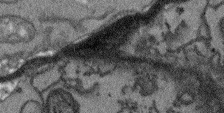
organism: Arabidopsis thaliana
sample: Root tip